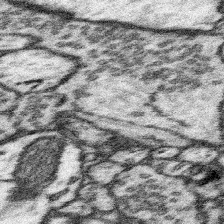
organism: Mouse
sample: Somatosensory cortex neuropil